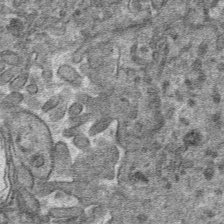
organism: Mouse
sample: Mouse hepatocytes